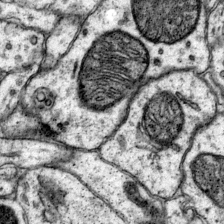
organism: Mouse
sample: Primary visual cortex